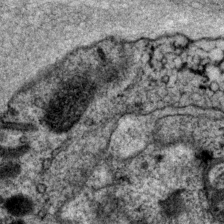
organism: P. pacificus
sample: Pharynx